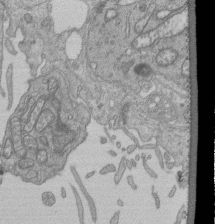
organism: Human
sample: Retinal organoid Rod and Cone cells